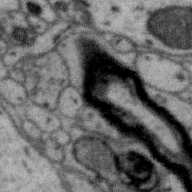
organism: Zebra finch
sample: Brain